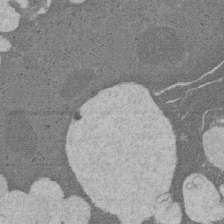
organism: Rat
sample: Salivary granule